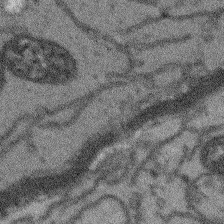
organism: Arabidopsis thaliana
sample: Root tip